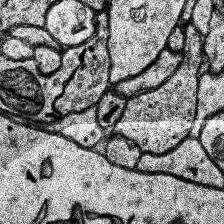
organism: Human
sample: Temporal Lobe